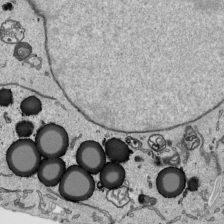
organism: Human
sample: Mitochondria in HCT116 cells